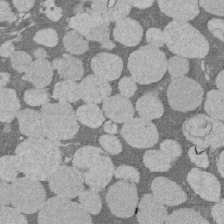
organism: Rat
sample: Salivary granule